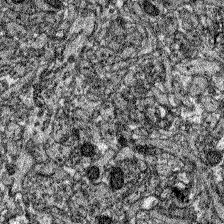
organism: Zebrafish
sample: Larval olfactory bulb